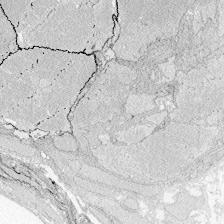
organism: Zebrafish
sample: Whole-Brain